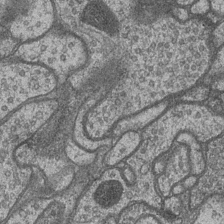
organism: Drosophila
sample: Optic medulla